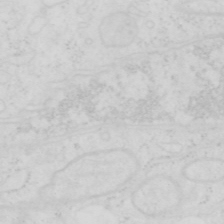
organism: Human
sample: SUM-159 cell